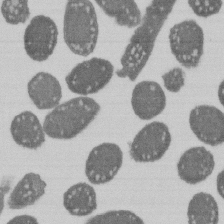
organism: E. coli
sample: Bacterial nucleoid